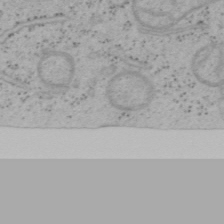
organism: Human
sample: HeLa cells